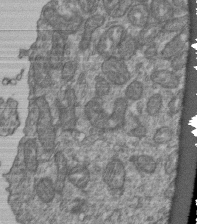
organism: Human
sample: Retinal organoid Rod and Cone cells